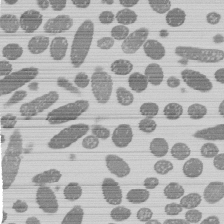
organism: E. coli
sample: Bacterial nucleoid